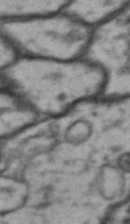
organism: Drosophila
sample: Brain